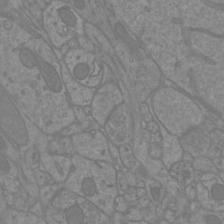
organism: Mouse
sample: Cortical neurons